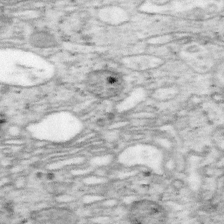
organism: Mouse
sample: OT-I killer T cells with ID8 ovarian cancer cells